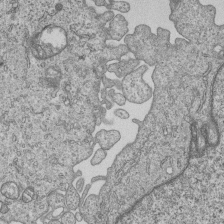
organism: Human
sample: MDA-MB-231 cells